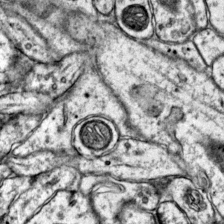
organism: Mouse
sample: Primary visual cortex